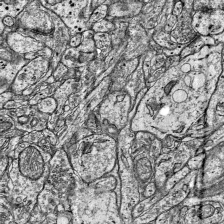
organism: Mouse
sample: Visual Cortex